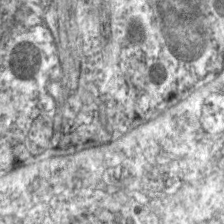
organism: C. elegans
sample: Pharynx